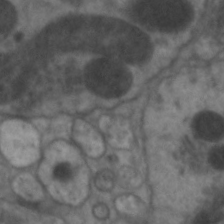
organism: C. elegans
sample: Pharynx